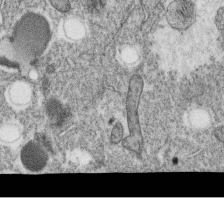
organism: C. elegans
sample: C. elegans oocyte; sperm cells